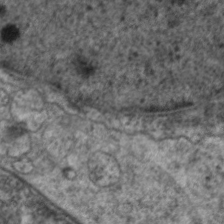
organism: C. elegans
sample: Pharynx